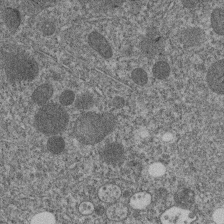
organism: C. elegans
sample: C. elegans embryo early stage